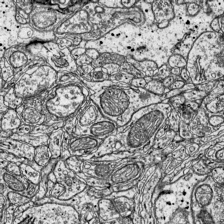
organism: Mouse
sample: Visual Cortex